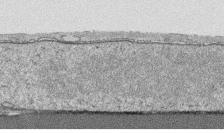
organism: Human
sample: CRL-1474